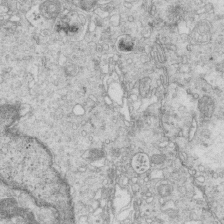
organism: Mouse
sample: Multiciliated cells